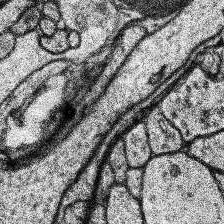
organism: Human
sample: Temporal Lobe